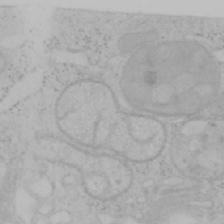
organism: Mouse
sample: OT-I killer T cells with ID8 ovarian cancer cells